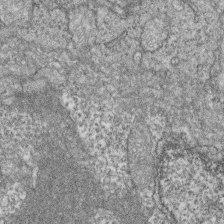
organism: Zebrafish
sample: Cilia; retinal pigment epithelium